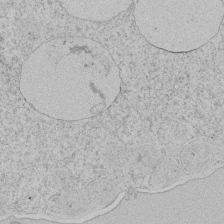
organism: Tetrahymena